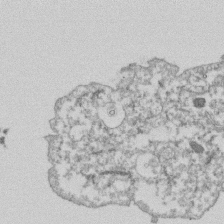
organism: Dictyostelium discoideum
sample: Dictyostelium multivesicular bodies